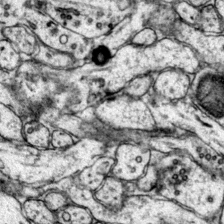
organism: Mouse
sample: Primary visual cortex